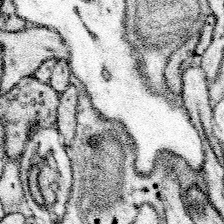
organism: Mouse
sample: Somatosensory cortex neuropil